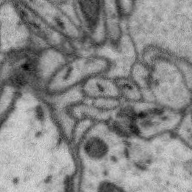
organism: Zebra finch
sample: Brain